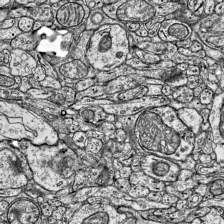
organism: Mouse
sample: Visual Cortex